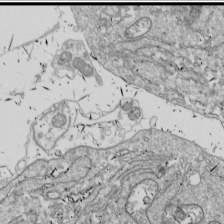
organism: Drosophila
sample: Cell division; meiosis; drosophila spermatocytes